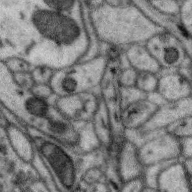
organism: Zebra finch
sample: Brain